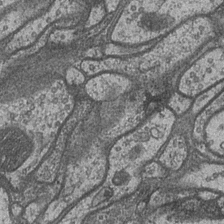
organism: Drosophila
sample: Optic medulla